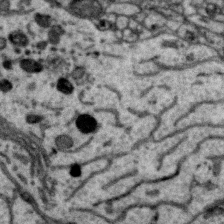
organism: Zebra finch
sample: Brain